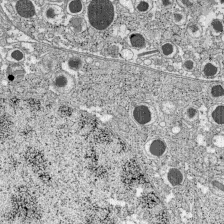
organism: C57BL Mouse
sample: Pancreatic islet